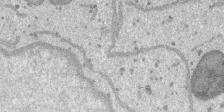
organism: Human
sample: Lung epithelial cells infected with SARS-CoV-2